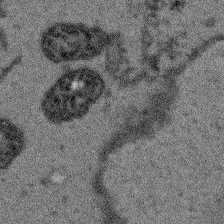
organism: Arabidopsis thaliana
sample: Root tip